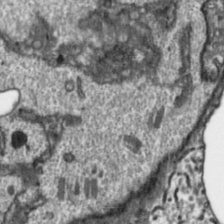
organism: Toxoplasma gondii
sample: Parasites in a vacuole inside a host cell